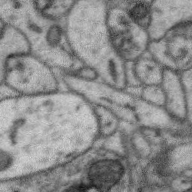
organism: Zebra finch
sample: Brain